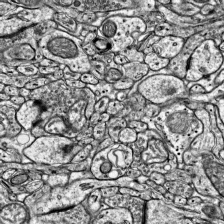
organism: Mouse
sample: Visual Cortex